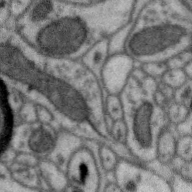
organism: Zebra finch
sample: Brain